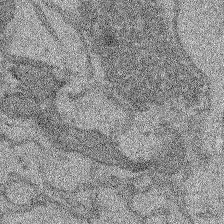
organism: Human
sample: HeLa cells